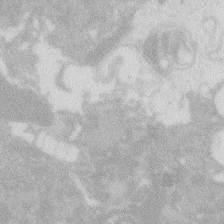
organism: Zebrafish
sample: Macrophage